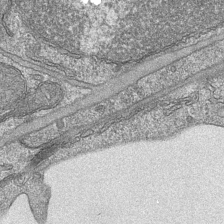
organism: Mouse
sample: CA1 Hippocampus